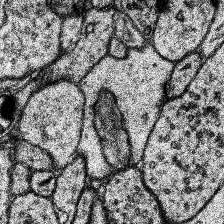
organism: Human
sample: Temporal Lobe